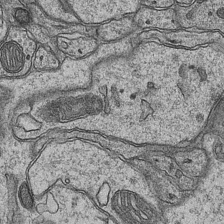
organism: Mouse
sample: CA1 Hippocampus